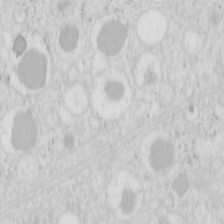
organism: Mouse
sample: Pancreas